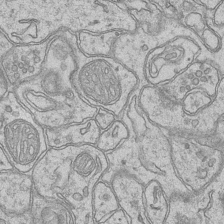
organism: Mouse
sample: CA1 Hippocampus